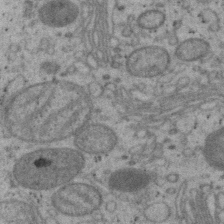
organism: Human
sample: HeLa cells